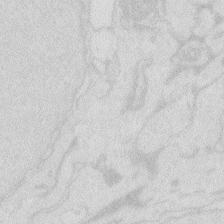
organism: Zebrafish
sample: Macrophage